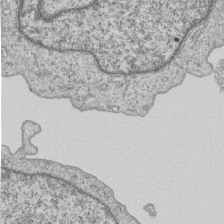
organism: Human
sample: MDA-MB-231 cells